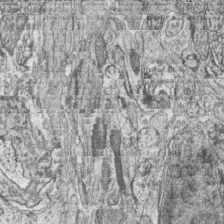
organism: Zebrafish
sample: synaptic ribbons in rod cells and cone cells